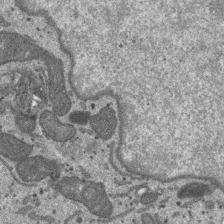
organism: Human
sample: Lung epithelial cells infected with SARS-CoV-2